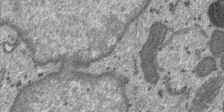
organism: Human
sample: Lung epithelial cells infected with SARS-CoV-2